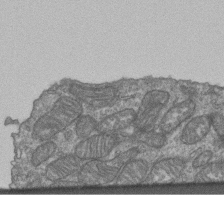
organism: Human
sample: Retinal organoid Rod and Cone cells